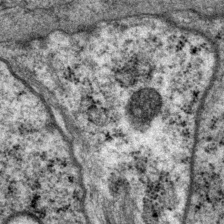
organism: P. pacificus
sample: Pharynx